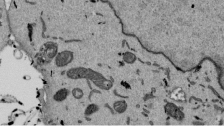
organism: Mouse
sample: ED-1 cell nuclei; centrioles